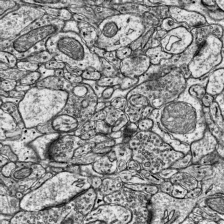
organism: Mouse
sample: Visual Cortex